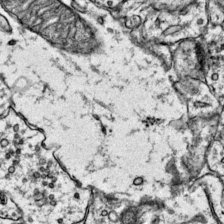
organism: Mouse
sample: Primary visual cortex